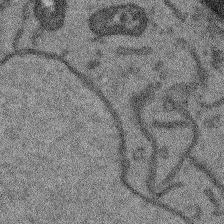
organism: Arabidopsis thaliana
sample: Root tip